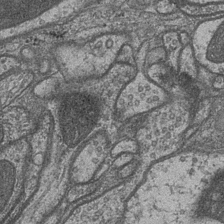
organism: Drosophila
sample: Optic medulla